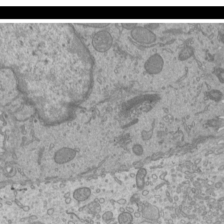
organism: Mouse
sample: Cilia; mouse epididymis